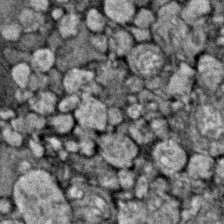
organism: Zebrafish